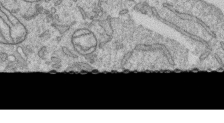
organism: Human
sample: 1205lu cells